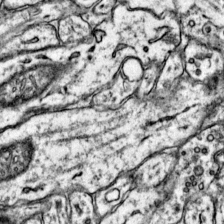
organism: Mouse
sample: Primary visual cortex